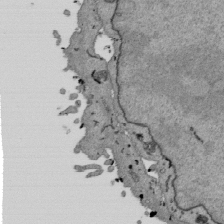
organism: Mouse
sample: ED-1 cell nuclei; centrioles